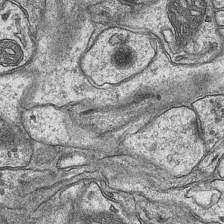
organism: Mouse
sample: CA1 Hippocampus